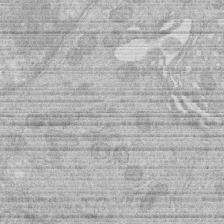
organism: Human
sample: Macrophage cells